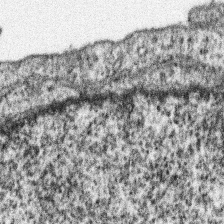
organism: Human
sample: HeLa cells